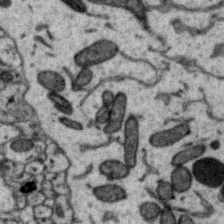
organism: Zebra finch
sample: Brain